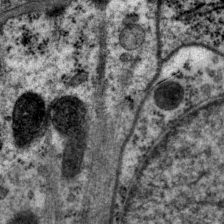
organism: P. pacificus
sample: Pharynx